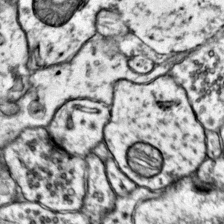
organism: Mouse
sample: Primary visual cortex